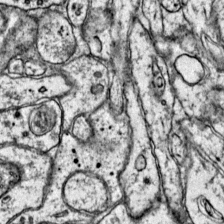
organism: Mouse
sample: Primary visual cortex